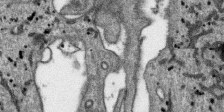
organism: Human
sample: Lung epithelial cells, uninfected (mock) control